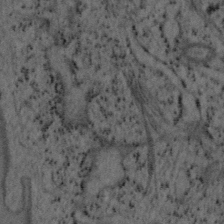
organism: Human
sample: HeLa cells